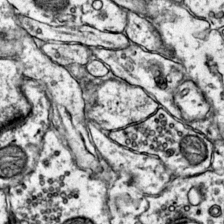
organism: Mouse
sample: Primary visual cortex